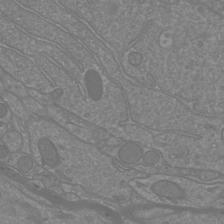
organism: Mouse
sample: Cortical neurons